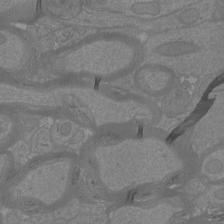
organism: Mouse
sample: Cortical neurons